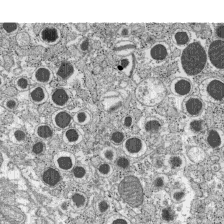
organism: C57BL Mouse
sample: Pancreatic islet